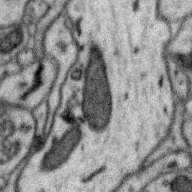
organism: Zebra finch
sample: Brain